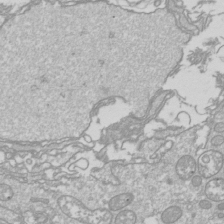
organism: Drosophila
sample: Cell division; meiosis; drosophila spermatocytes